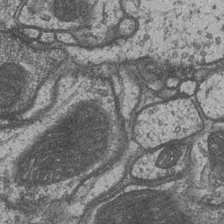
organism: Drosophila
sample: Optic medulla